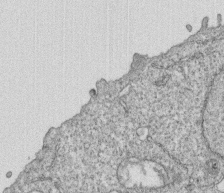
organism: Human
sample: HeLa cell HIV synapse